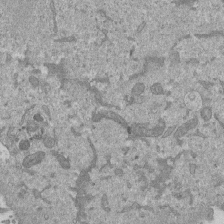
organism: Mouse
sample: ED-1 cell nuclei; centrioles